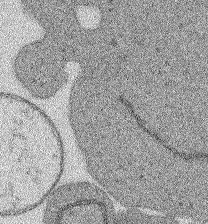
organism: Human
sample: HeLa cells